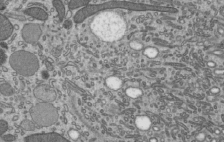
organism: Mouse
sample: Mouse epididymis efferent ductule cilia